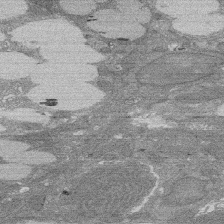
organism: Rat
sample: Salivary granule